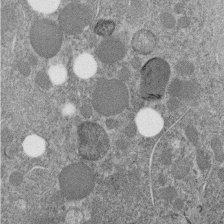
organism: C. elegans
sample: C. elegans embryo early stage